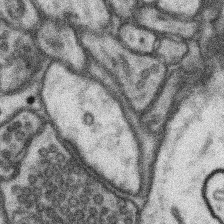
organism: Mouse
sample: Somatosensory cortex neuropil